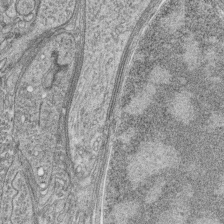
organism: Zebrafish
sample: synaptic ribbons in rod cells and cone cells